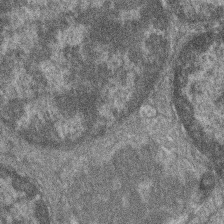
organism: Zebrafish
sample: Cilia; retinal pigment epithelium